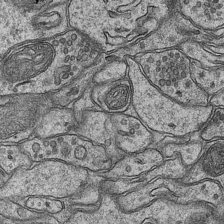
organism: Mouse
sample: CA1 Hippocampus